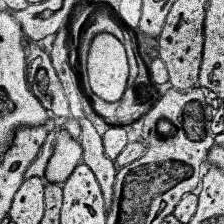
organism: Human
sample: Temporal Lobe